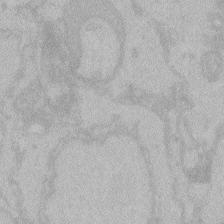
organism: Zebrafish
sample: Macrophage infected with Toxoplasma gondii